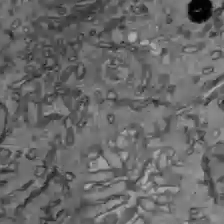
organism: C57BL Mouse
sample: Liver